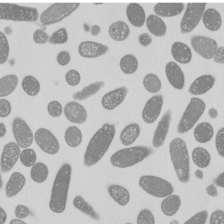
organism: E. coli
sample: Bacterial nucleoid